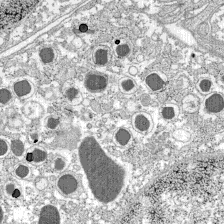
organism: C57BL Mouse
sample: Pancreatic islet